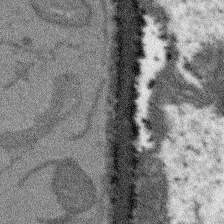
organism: Arabidopsis thaliana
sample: Root tip